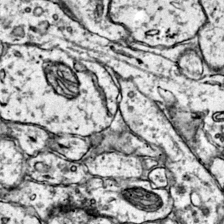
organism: Mouse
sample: Primary visual cortex